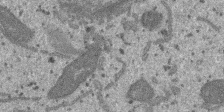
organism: Human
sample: Lung epithelial cells infected with SARS-CoV-2